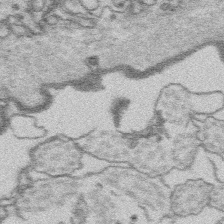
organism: Platynereis dumerilii